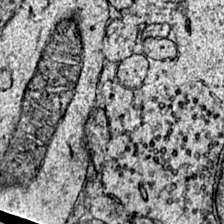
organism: Mouse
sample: Primary visual cortex